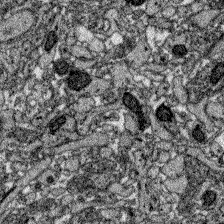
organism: Zebrafish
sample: Larval olfactory bulb